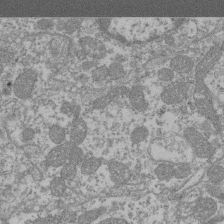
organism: Mouse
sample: Glomerulus